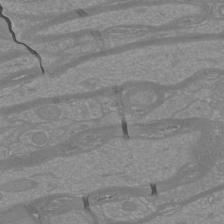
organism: Mouse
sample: Cortical neurons